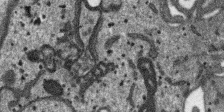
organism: Human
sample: Lung epithelial cells infected with SARS-CoV-2